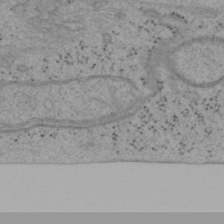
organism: Human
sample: HeLa cells